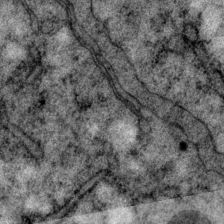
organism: P. pacificus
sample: Pharynx